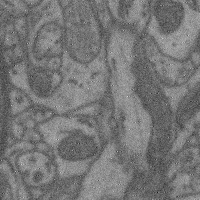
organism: Mouse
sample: Cerebral cortex